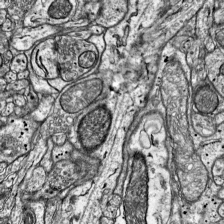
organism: Mouse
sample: Visual Cortex